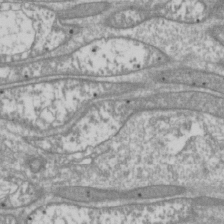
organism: Drosophila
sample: Cell division; meiosis; drosophila spermatocytes